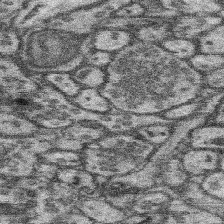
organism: Mouse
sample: Somatosensory cortex neuropil